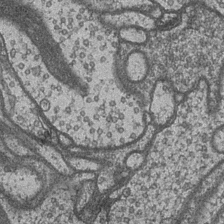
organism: Drosophila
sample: Optic medulla